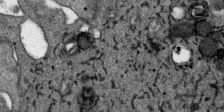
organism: Human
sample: Lung epithelial cells, uninfected (mock) control